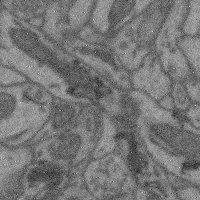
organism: Mouse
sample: Cerebral cortex